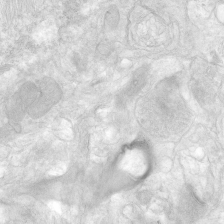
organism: Human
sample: Neocortex